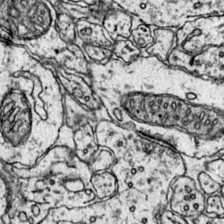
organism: Mouse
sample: Primary visual cortex